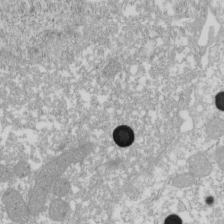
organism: Xenopus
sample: Cilia; centrioles in frog embryo cells